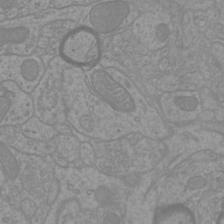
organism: Mouse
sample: Cortical neurons